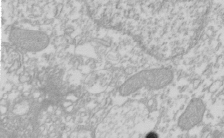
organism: Xenopus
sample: Cilia; centrioles in frog embryo cells